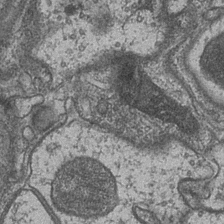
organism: Drosophila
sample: Optic medulla